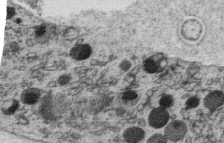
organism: C. elegans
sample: C. elegans oocyte; sperm cells